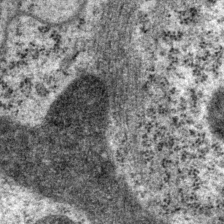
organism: P. pacificus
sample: Pharynx